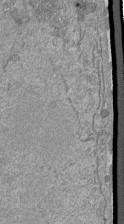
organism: Mouse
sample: ED-1 cell nuclei; centrioles